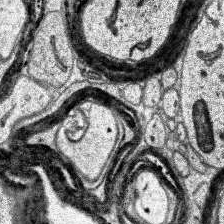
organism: Human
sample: Temporal Lobe